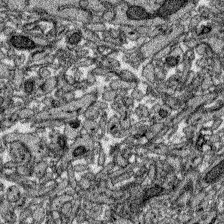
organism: Zebrafish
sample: Larval olfactory bulb